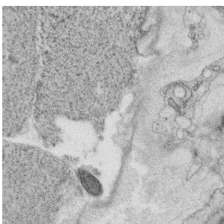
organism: C. elegans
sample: C. elegans oocyte; sperm cells